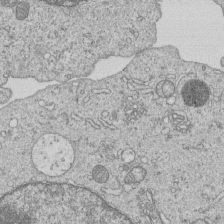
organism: Human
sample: MDA-MB-231 cells